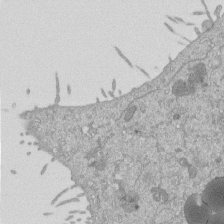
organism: Mouse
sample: ED-1 cell nuclei; centrioles